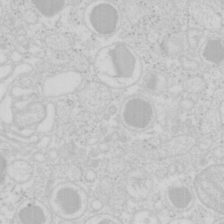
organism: Mouse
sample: Pancreas